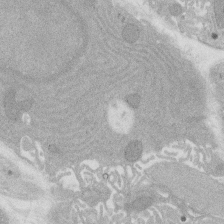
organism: Rat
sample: Salivary granule